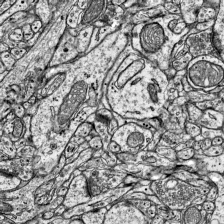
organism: Mouse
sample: Visual Cortex